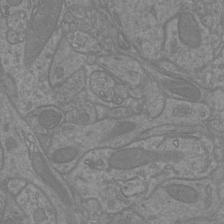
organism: Mouse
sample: Cortical neurons